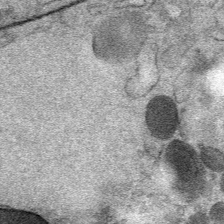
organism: Mouse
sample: Mouse Salivary gland